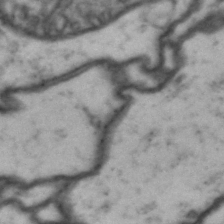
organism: Drosophila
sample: Brain